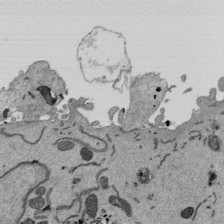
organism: Mouse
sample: ED-1 cell nuclei; centrioles